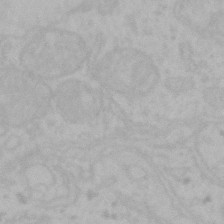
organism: Mouse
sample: Choroid plexus